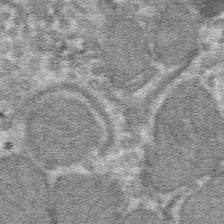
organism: Mouse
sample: Mouse hepatocytes